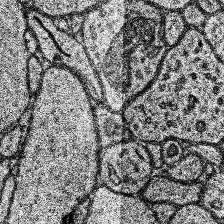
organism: Human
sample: Temporal Lobe